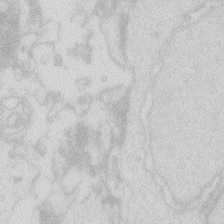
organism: Zebrafish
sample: Macrophage